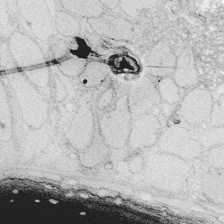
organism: Zebrafish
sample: Whole-Brain